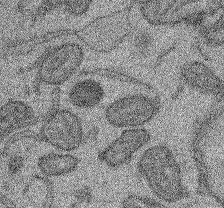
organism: Human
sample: HeLa cells